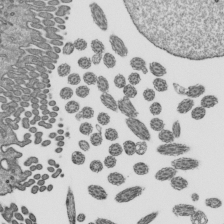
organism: Mouse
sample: Mouse epididymis efferent ductule cilia